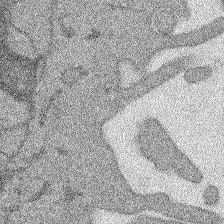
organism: Human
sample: HeLa cells